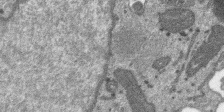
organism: Human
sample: Lung epithelial cells infected with SARS-CoV-2